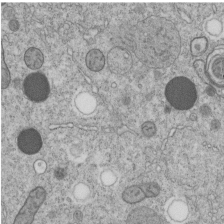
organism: C. elegans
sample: C. elegans embryo early stage